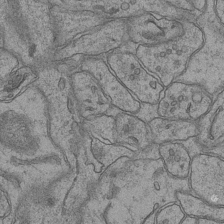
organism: Mouse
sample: CA1 Hippocampus